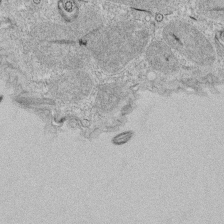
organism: Tetrahymena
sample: Cilia in tetrahymena